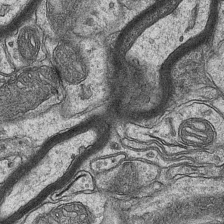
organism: Mouse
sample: CA1 Hippocampus